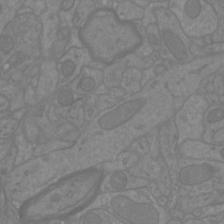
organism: Mouse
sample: Cortical neurons